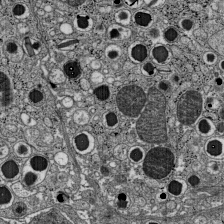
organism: C57BL Mouse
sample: Pancreatic islet